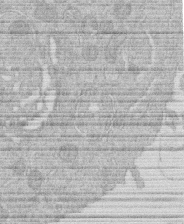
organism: Human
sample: Macrophage cells